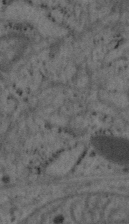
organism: Human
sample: HeLa cells